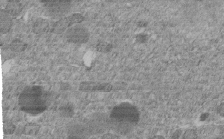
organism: C. elegans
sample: C. elegans embryo early stage